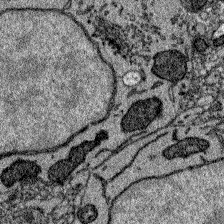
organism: Zebrafish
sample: Larval olfactory bulb